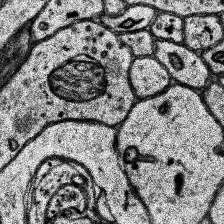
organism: Human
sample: Temporal Lobe